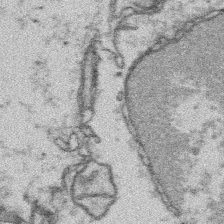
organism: Platynereis dumerilii